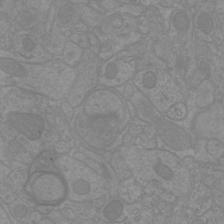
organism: Mouse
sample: Cortical neurons